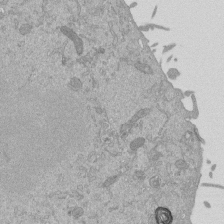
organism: Mouse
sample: ED-1 cell nuclei; centrioles